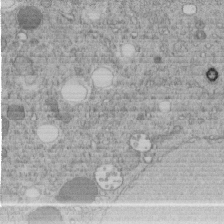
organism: C. elegans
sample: C. elegans embryo early stage